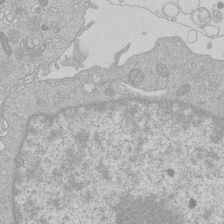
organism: Human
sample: Macrophage cells